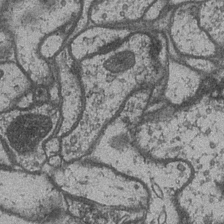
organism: Drosophila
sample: Optic medulla